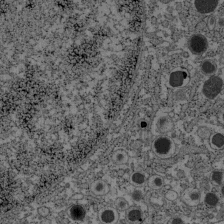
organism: C57BL Mouse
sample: Pancreatic islet